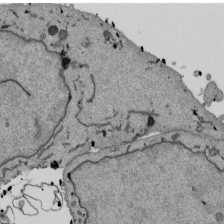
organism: Mouse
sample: ED-1 cell nuclei; centrioles